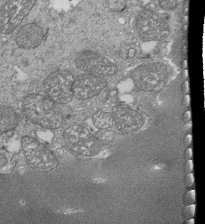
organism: Tetrahymena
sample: Cilia in tetrahymena